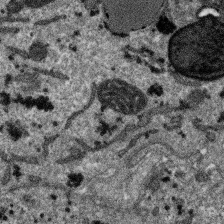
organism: Human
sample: Lung epithelial cells infected with SARS-CoV-2